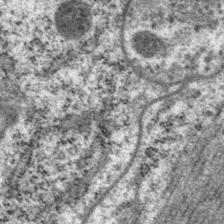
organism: P. pacificus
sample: Pharynx